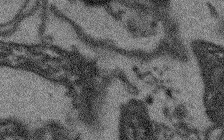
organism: Arabidopsis thaliana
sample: Root tip